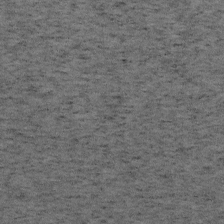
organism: Mouse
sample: OT-I killer T cells with ID8 ovarian cancer cells